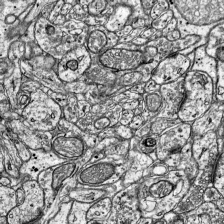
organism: Mouse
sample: Visual Cortex